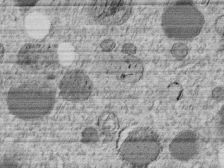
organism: C. elegans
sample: C. elegans embryo early stage